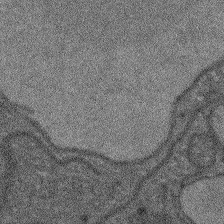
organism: Arabidopsis thaliana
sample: Root tip